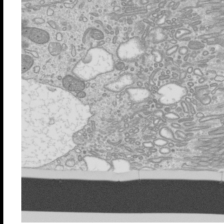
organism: Mouse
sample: Cilia; mouse epididymis